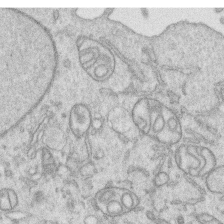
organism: Human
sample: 1205lu cells